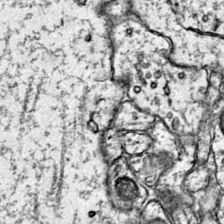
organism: Mouse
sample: Primary visual cortex